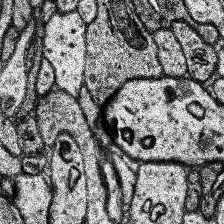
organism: Human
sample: Temporal Lobe